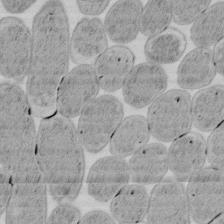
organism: E. coli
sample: Bacterial nucleoid